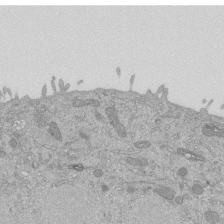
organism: Mouse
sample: ED-1 cell nuclei; centrioles